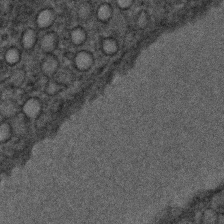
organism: C. elegans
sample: C. elegans embryo